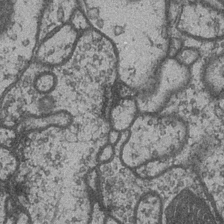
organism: Drosophila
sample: Optic medulla